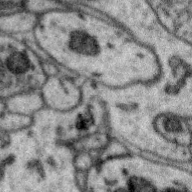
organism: Zebra finch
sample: Brain